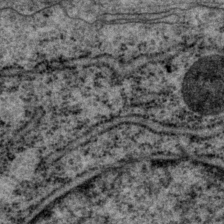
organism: P. pacificus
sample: Pharynx